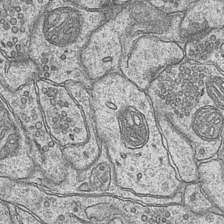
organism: Mouse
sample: CA1 Hippocampus